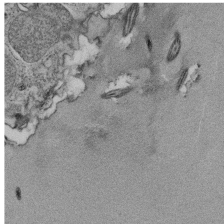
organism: Tetrahymena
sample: Cilia in tetrahymena